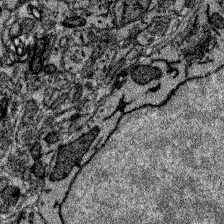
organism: Zebrafish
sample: Larval olfactory bulb